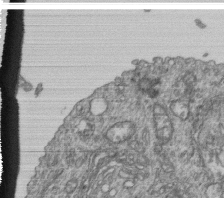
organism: Human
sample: Retinal organoid Rod and Cone cells